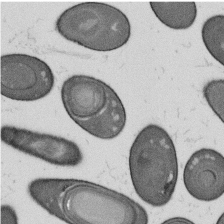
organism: B. subtilis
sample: Bacterial spore